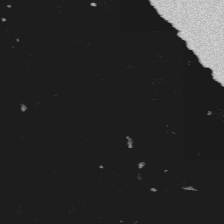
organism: Platynereis dumerilii